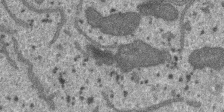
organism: Human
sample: Lung epithelial cells infected with SARS-CoV-2